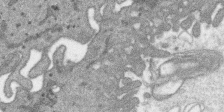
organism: Human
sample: Lung epithelial cells infected with SARS-CoV-2